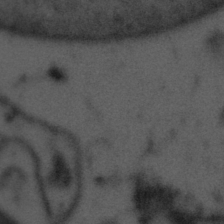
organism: Tuwongella immobilis